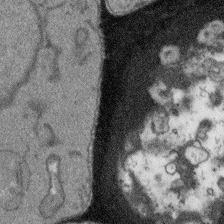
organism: Arabidopsis thaliana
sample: Root tip